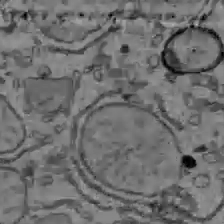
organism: C57BL Mouse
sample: Liver